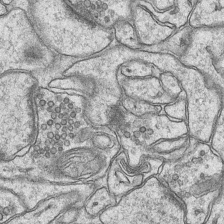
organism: Mouse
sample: CA1 Hippocampus